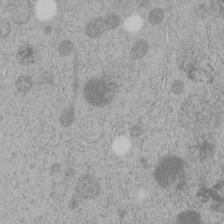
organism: C. elegans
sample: C. elegans embryo early stage